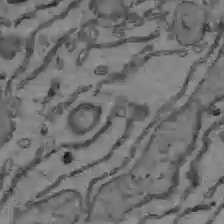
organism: C57BL Mouse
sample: Liver